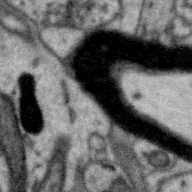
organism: Zebra finch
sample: Brain